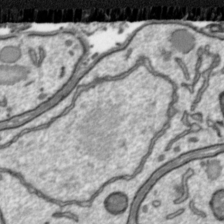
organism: Toxoplasma gondii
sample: Parasites in a vacuole inside a host cell